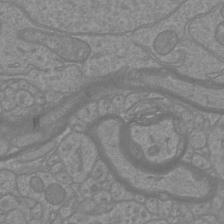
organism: Mouse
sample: Cortical neurons